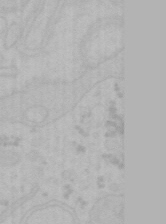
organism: Mouse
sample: Choroid plexus